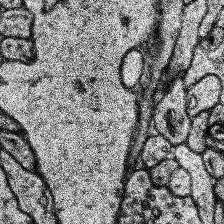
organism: Human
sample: Temporal Lobe